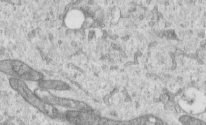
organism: Human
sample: Centriole in RPE cells